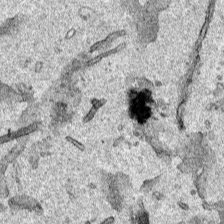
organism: Human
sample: Mitochondria in HCT116 cells